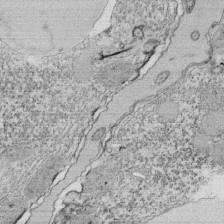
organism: Tetrahymena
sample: Cilia in tetrahymena